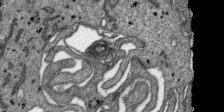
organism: Human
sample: Lung epithelial cells, uninfected (mock) control